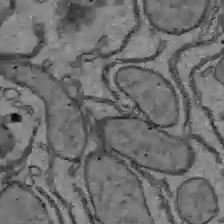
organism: C57BL Mouse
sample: Liver